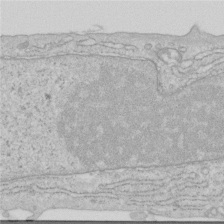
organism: Human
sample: Centriole in RPE cells